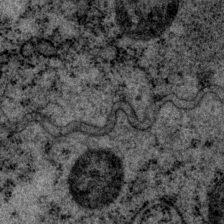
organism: P. pacificus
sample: Pharynx